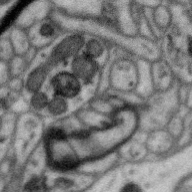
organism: Zebra finch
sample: Brain